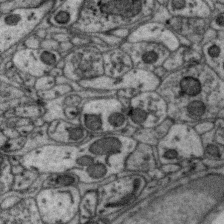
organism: Zebra finch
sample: Brain